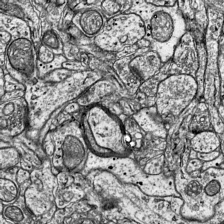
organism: Mouse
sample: Visual Cortex